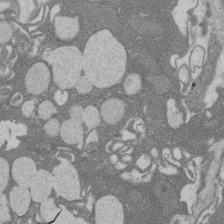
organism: Rat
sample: Salivary granule